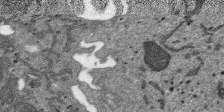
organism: Human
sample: Lung epithelial cells infected with SARS-CoV-2